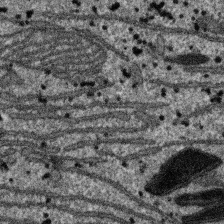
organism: Human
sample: Lung epithelial cells infected with SARS-CoV-2